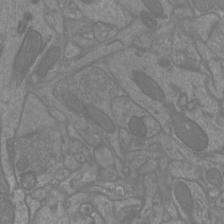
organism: Mouse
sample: Cortical neurons